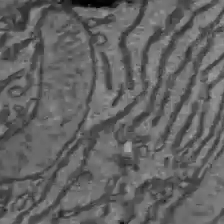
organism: C57BL Mouse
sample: Liver